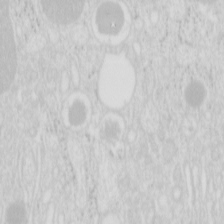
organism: Mouse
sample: Pancreas